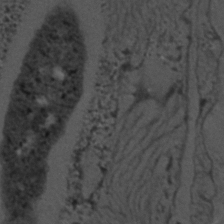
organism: C. elegans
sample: C. elegans embryo